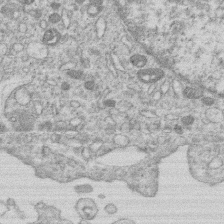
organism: Human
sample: Macrophage cells